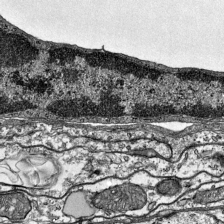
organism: Mouse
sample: Visual Cortex